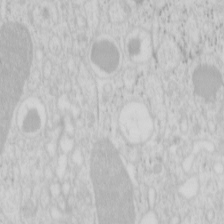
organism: Mouse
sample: Pancreas